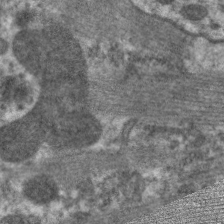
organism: C. elegans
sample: Pharynx